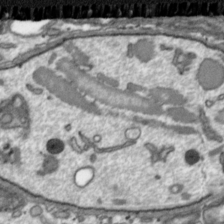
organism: Toxoplasma gondii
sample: Parasites in a vacuole inside a host cell